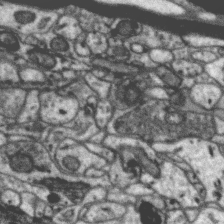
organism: Zebra finch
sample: Brain